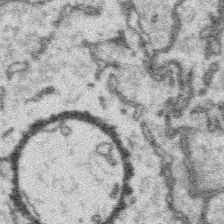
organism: Platynereis dumerilii